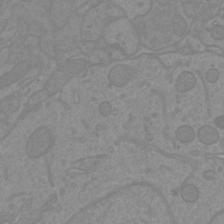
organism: Mouse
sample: Cortical neurons